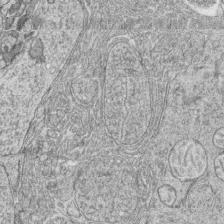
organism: Zebrafish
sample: synaptic ribbons in rod cells and cone cells